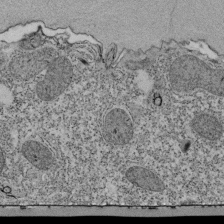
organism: Tetrahymena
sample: Cilia in tetrahymena